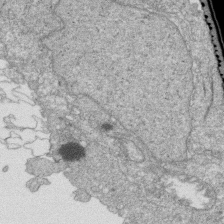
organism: Human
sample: HeLa cell HIV synapse